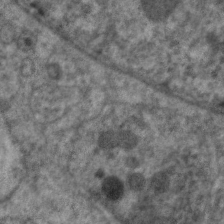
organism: C. elegans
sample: Pharynx